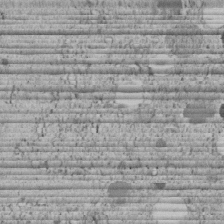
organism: C. elegans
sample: C. elegans embryo early stage